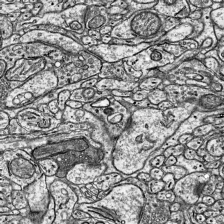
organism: Mouse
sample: Visual Cortex